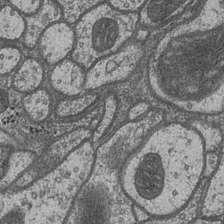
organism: Drosophila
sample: Optic medulla